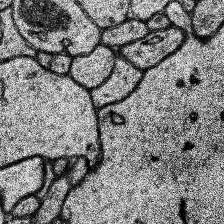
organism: Human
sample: Temporal Lobe